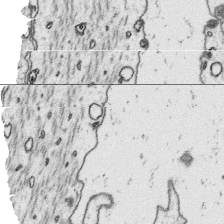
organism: Platynereis dumerilii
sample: Parapodia